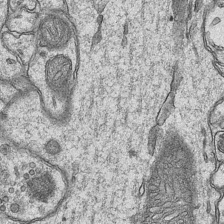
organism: Mouse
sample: CA1 Hippocampus